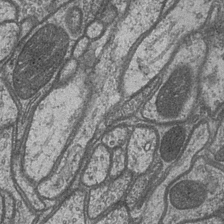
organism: Drosophila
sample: Optic medulla